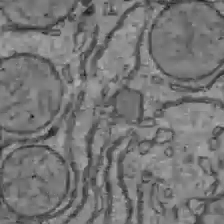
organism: C57BL Mouse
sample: Liver